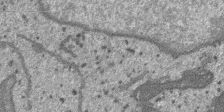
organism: Human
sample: Lung epithelial cells infected with SARS-CoV-2